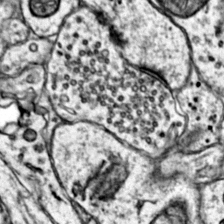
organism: Mouse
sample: Primary visual cortex